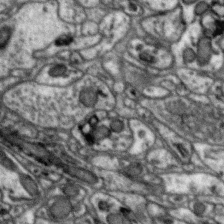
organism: Zebra finch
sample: Brain